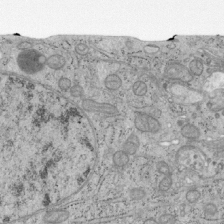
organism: Human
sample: HeLa cells